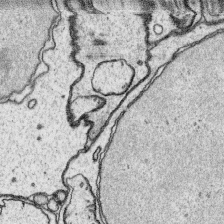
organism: Platynereis dumerilii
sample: Parapodia